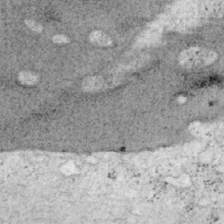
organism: Mouse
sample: OT-I killer T cells with ID8 ovarian cancer cells